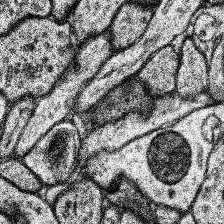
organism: Human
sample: Temporal Lobe